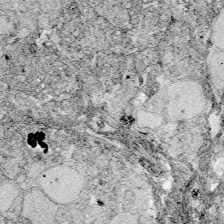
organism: Zebrafish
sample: Whole-Brain